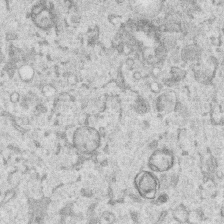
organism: Human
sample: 1205lu cells